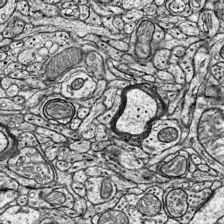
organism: Mouse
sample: Visual Cortex